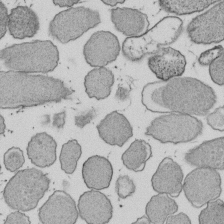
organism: E. coli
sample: Bacterial nucleoid